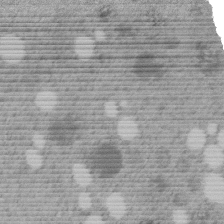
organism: C. elegans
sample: C. elegans embryo early stage